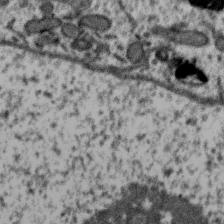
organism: Zebra finch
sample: Brain